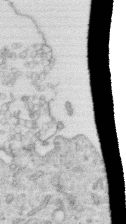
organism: Human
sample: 1205lu cells